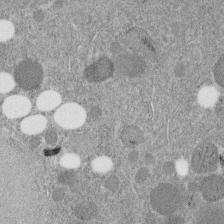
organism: C. elegans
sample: C. elegans embryo early stage